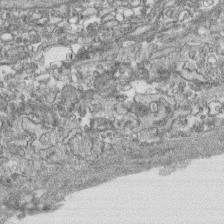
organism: Human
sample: CRL-1474